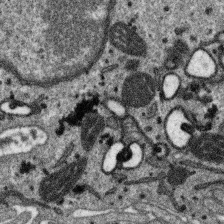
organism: Human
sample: Lung epithelial cells infected with SARS-CoV-2